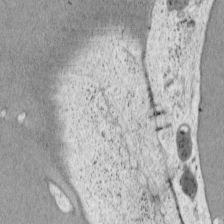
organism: African green monkey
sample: COS-7 cells